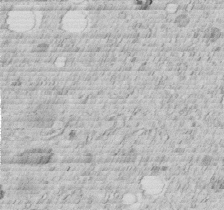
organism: C. elegans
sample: C. elegans embryo early stage